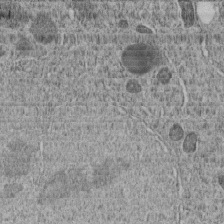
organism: C. elegans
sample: C. elegans embryo early stage